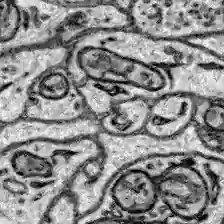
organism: Zebrafish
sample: Brain